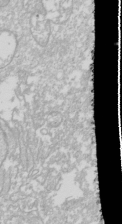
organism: Drosophila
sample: Cell division; meiosis; drosophila spermatocytes